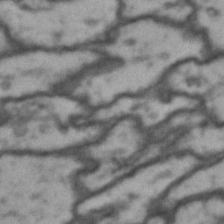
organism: Drosophila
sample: Brain